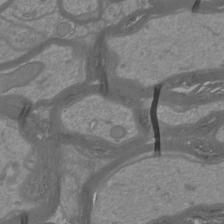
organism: Mouse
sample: Cortical neurons